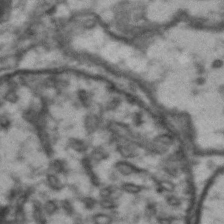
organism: Drosophila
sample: Brain